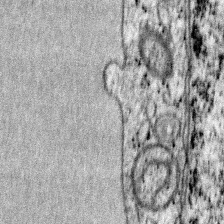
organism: Human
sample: HeLa cells